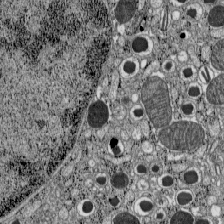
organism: C57BL Mouse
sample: Pancreatic islet